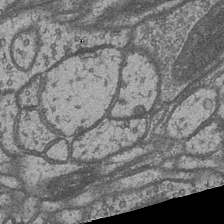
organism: Drosophila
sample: Optic medulla